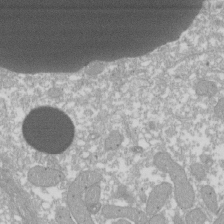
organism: Xenopus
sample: Cilia; centrioles in frog embryo cells